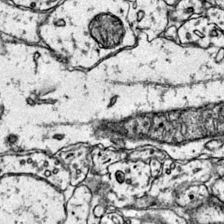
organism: Mouse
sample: Primary visual cortex